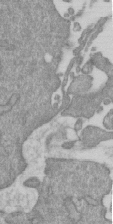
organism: Mouse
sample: ED-1 cell nuclei; centrioles